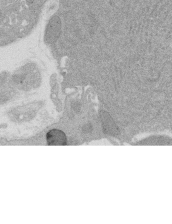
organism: Rat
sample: Salivary granule